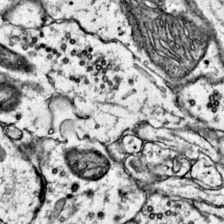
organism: Mouse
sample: Primary visual cortex